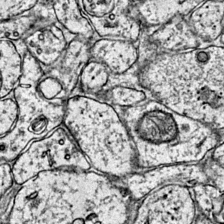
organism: Mouse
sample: Primary visual cortex